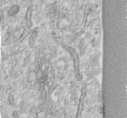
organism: Human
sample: Centriole in fibroblast cells